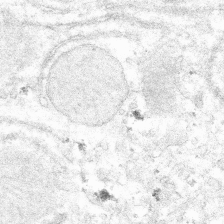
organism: Mouse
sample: Mouse hepatocytes